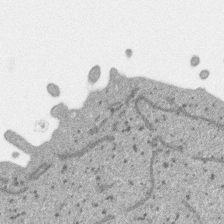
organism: Human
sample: Lung epithelial cells infected with SARS-CoV-2